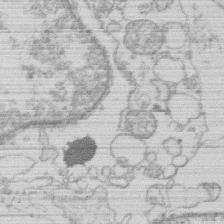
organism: Human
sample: Macrophage cells